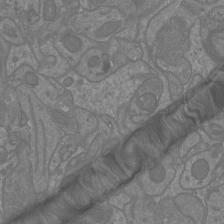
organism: Mouse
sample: Cortical neurons